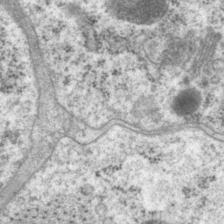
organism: P. pacificus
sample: Pharynx